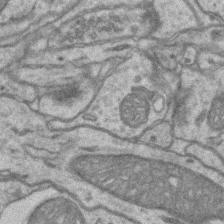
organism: Mouse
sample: CA1 Hippocampus